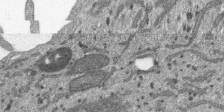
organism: Human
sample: Lung epithelial cells infected with SARS-CoV-2